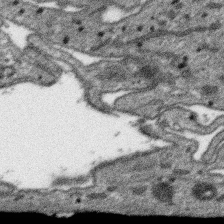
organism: Human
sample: Lung epithelial cells infected with SARS-CoV-2